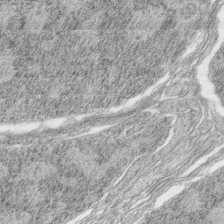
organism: Zebrafish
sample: synaptic ribbons in rod cells and cone cells